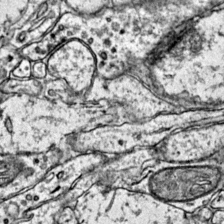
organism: Mouse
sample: Primary visual cortex